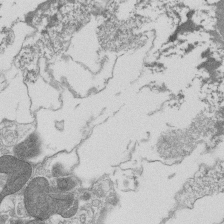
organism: Tetrahymena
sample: Cilia in tetrahymena